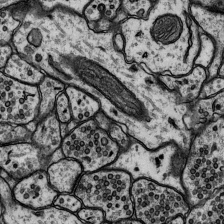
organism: Rat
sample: Hippocampus